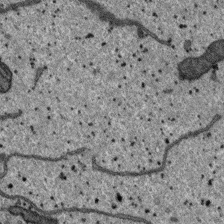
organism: Human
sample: Lung epithelial cells, uninfected (mock) control